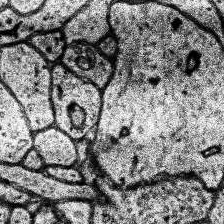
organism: Human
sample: Temporal Lobe